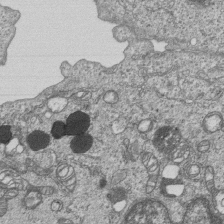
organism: Human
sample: MDA-MB-231 cells